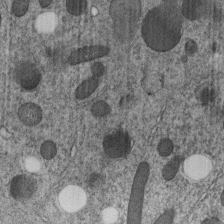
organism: C. elegans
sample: C. elegans embryo early stage